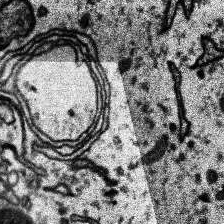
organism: Human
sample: Temporal Lobe